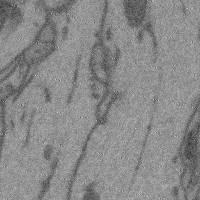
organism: Mouse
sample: Cerebral cortex